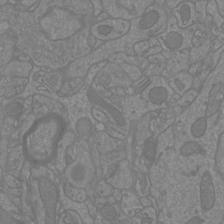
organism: Mouse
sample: Cortical neurons